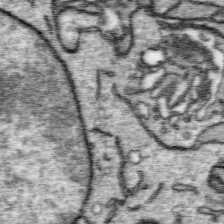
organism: Human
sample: HeLa cells